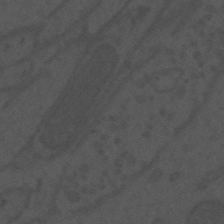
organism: Mouse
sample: Suprachiasmatic nucleus